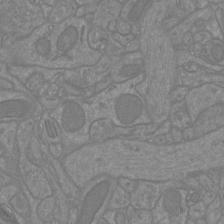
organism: Mouse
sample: Cortical neurons